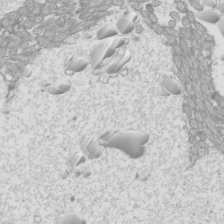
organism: Mouse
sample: Cilia; mouse epididymis